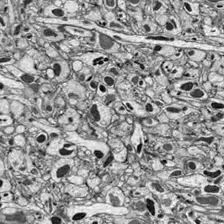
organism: Drosophila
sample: Optic lobe